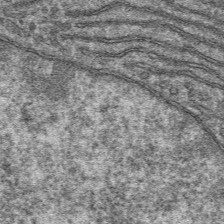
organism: Mouse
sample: Mouse hepatocytes